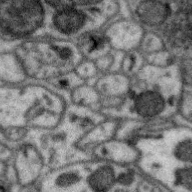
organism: Zebra finch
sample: Brain